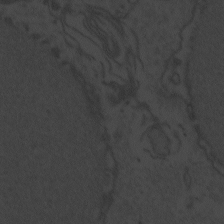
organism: Zebrafish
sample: Macrophage infected with Toxoplasma gondii